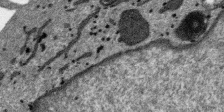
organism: Human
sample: Lung epithelial cells, uninfected (mock) control